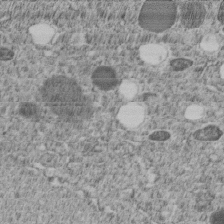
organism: C. elegans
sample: C. elegans embryo early stage